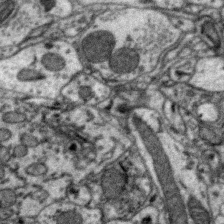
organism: Zebra finch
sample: Brain